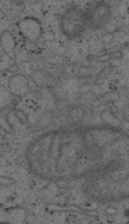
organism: Human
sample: HeLa cells